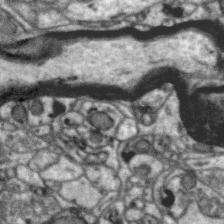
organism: Zebra finch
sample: Brain